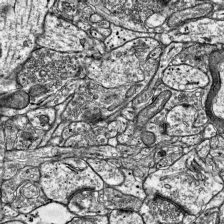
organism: Mouse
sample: Visual Cortex